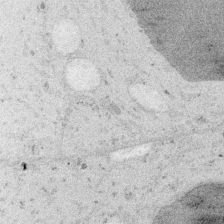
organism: Embia sp.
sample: Silk gland